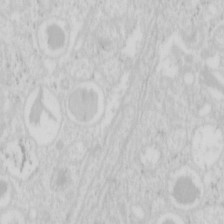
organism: Mouse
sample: Pancreas